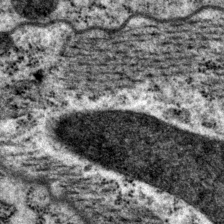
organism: P. pacificus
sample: Pharynx